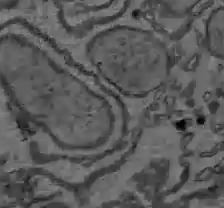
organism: C57BL Mouse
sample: Liver